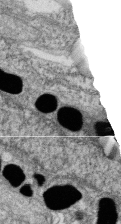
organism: Zebrafish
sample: Cilia; retinal pigment epithelium